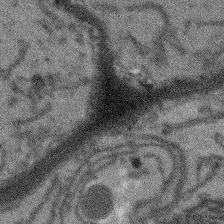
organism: Arabidopsis thaliana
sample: Root tip